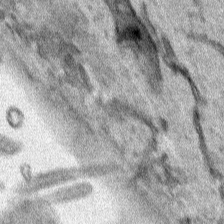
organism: Human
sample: Mitochondria in HCT116 cells